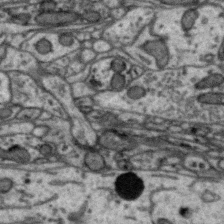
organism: Zebra finch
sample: Brain